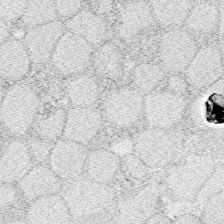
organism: Zebrafish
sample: Whole-Brain